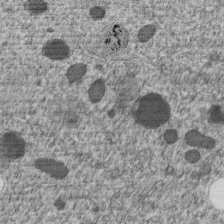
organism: C. elegans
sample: C. elegans embryo early stage